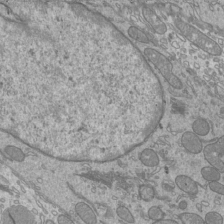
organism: Mouse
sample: Cilia; mouse epididymis